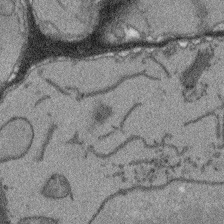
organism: Arabidopsis thaliana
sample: Root tip